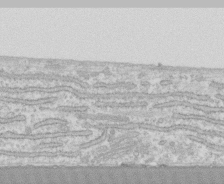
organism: Human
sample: CRL-1474